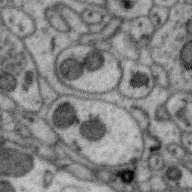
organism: Zebra finch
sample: Brain